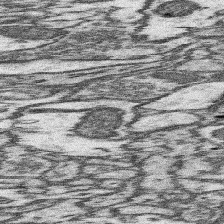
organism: Mouse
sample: Somatosensory cortex neuropil